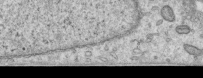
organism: Human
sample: Centriole in RPE cells